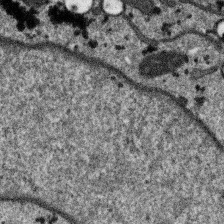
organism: Human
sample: Lung epithelial cells infected with SARS-CoV-2